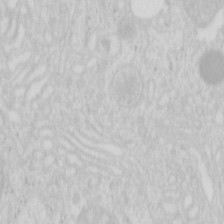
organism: Mouse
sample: Pancreas